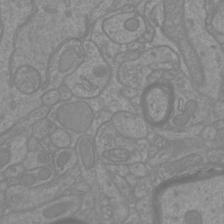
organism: Mouse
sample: Cortical neurons